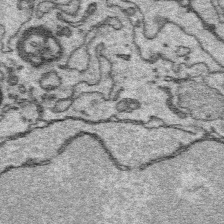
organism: Platynereis dumerilii